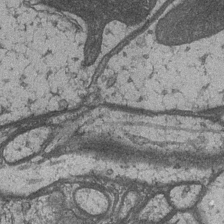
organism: Drosophila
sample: Optic medulla